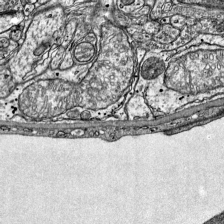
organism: Mouse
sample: Visual Cortex